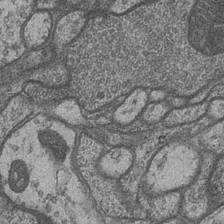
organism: Drosophila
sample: Optic medulla